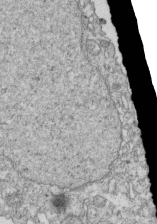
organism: Human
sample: HeLa cell HIV synapse